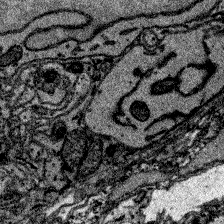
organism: Zebrafish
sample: Larval olfactory bulb